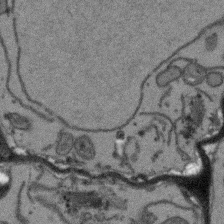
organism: Arabidopsis thaliana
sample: Root tip